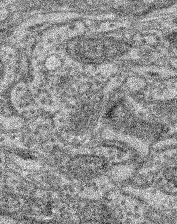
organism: Mouse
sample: Retina